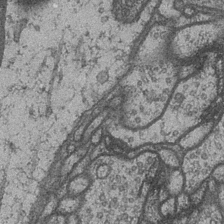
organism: Drosophila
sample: Optic medulla